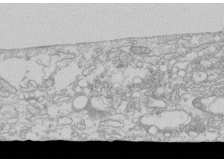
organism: Human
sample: CRL-1474